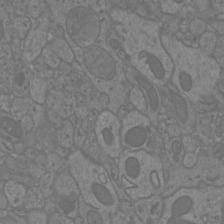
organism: Mouse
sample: Cortical neurons